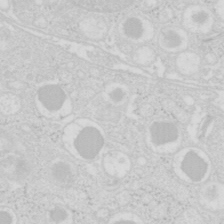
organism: Mouse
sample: Pancreas